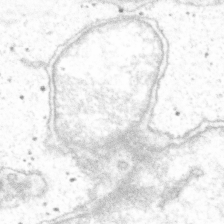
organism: Human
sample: HeLa cells